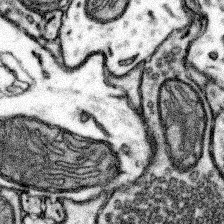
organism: Mouse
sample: Somatosensory cortex neuropil